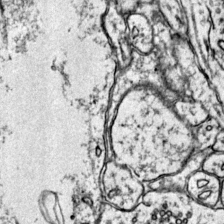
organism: Mouse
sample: Primary visual cortex